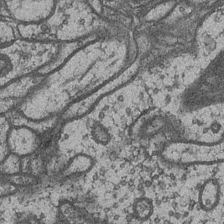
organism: Drosophila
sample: Optic medulla